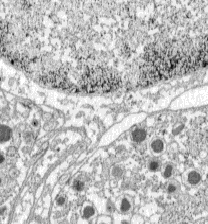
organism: C57BL Mouse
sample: Pancreatic islet